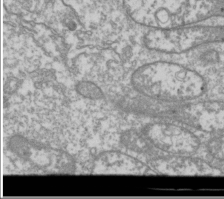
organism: Drosophila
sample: Cell division; meiosis; drosophila spermatocytes